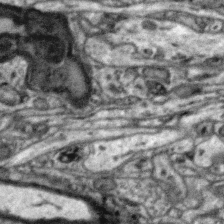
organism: Zebra finch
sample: Brain